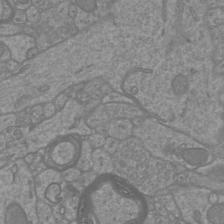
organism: Mouse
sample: Cortical neurons